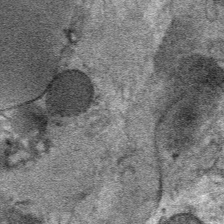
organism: Mouse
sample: Mouse Salivary gland